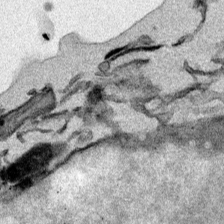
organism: Mouse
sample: Cancer cell death in ED-1 cells